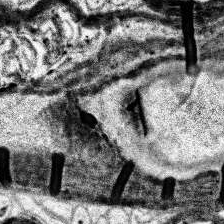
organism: Human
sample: Temporal Lobe